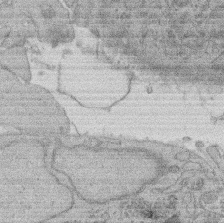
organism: Rat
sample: Salivary granule